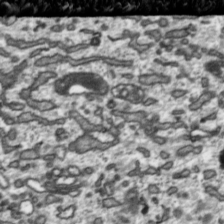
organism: Toxoplasma gondii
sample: Parasites in a vacuole inside a host cell